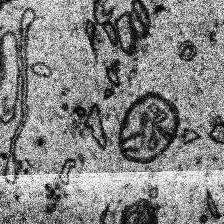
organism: Human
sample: Temporal Lobe